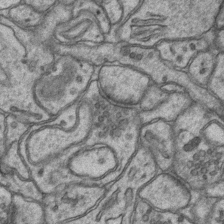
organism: Mouse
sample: CA1 Hippocampus